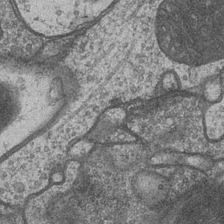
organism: Drosophila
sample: Optic medulla